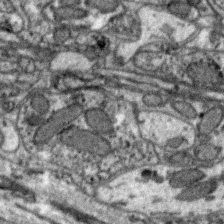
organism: Zebra finch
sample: Brain